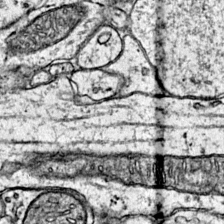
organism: Mouse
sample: Primary visual cortex